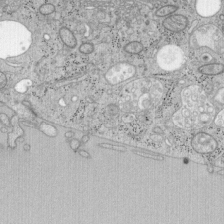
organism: Mouse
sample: OT-I killer T cells with ID8 ovarian cancer cells